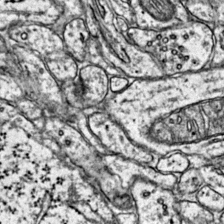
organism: Mouse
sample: Primary visual cortex